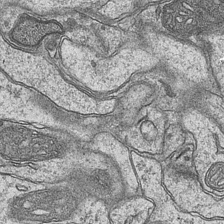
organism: Mouse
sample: CA1 Hippocampus